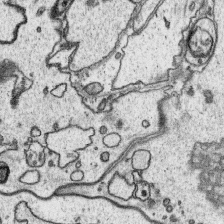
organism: Platynereis dumerilii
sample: Parapodia